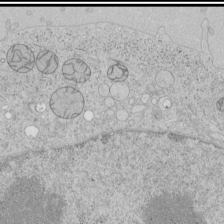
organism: Human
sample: Mitochondria in HCT116 cells